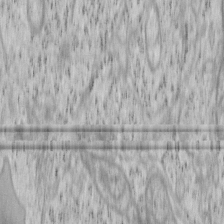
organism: Human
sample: HeLa cells